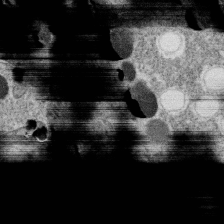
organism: C. elegans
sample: C. elegans oocyte; sperm cells